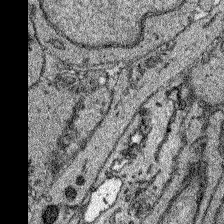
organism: Zebrafish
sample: Larval olfactory bulb